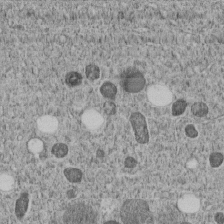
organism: C. elegans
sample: C. elegans embryo early stage